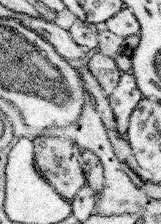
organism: Mouse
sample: Somatosensory cortex neuropil